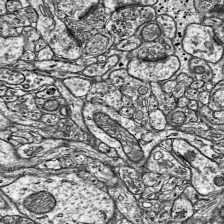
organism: Mouse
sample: Visual Cortex